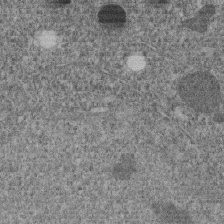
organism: C. elegans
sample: C. elegans embryo early stage